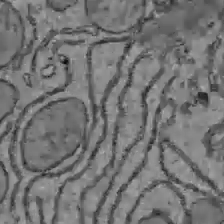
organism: C57BL Mouse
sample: Liver